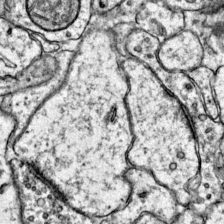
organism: Mouse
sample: Primary visual cortex